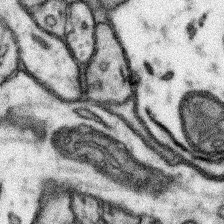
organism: Mouse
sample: Somatosensory cortex neuropil